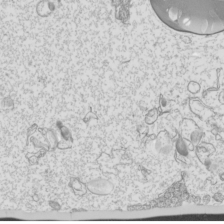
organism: Mouse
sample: Cilia; mouse epididymis